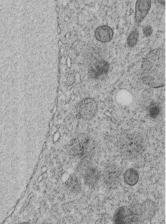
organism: C. elegans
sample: C. elegans embryo early stage